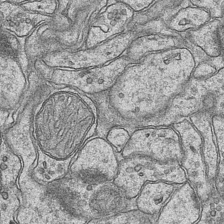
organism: Mouse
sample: CA1 Hippocampus